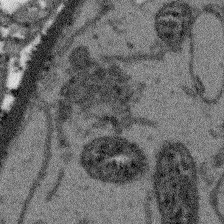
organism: Arabidopsis thaliana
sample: Root tip